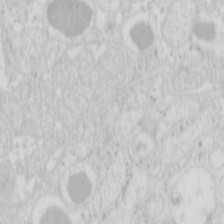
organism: Mouse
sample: Pancreas